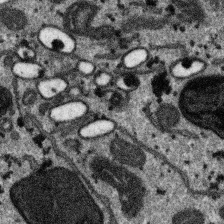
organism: Human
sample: Lung epithelial cells infected with SARS-CoV-2